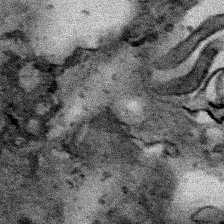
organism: Human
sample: Mitochondria in HCT116 cells